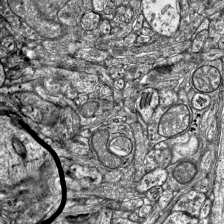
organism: Mouse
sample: Visual Cortex